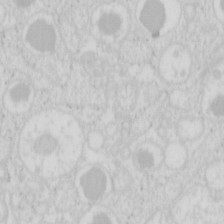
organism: Mouse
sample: Pancreas